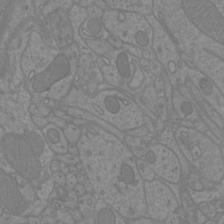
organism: Mouse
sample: Cortical neurons